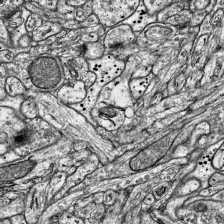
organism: Mouse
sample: Visual Cortex